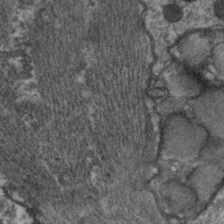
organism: C. elegans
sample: Pharynx